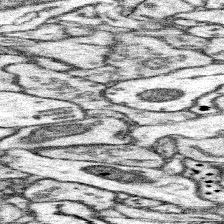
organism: Mouse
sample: Somatosensory cortex neuropil